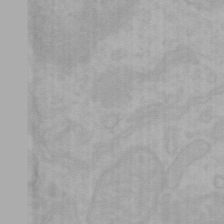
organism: Mouse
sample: Choroid plexus